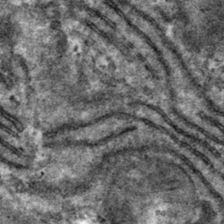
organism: Mouse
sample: Mouse hepatocytes